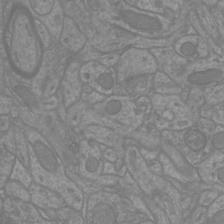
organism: Mouse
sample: Cortical neurons